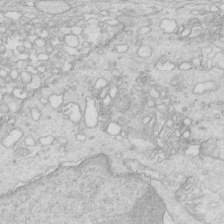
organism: Mouse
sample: Multiciliated cells